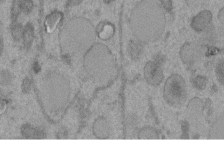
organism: C. elegans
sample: C. elegans embryo early stage